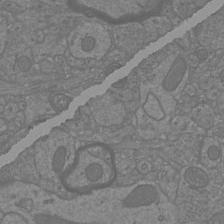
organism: Mouse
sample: Cortical neurons